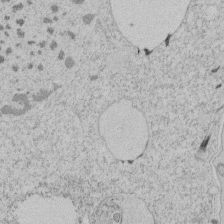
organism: Tetrahymena